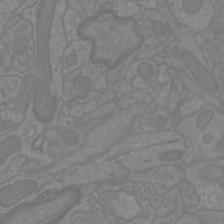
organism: Mouse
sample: Cortical neurons